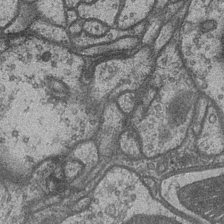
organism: Drosophila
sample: Optic medulla